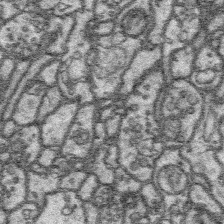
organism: Platynereis dumerilii